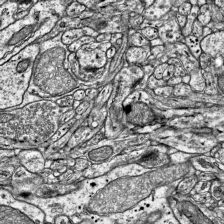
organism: Mouse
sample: Visual Cortex